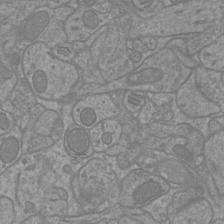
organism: Mouse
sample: Cortical neurons